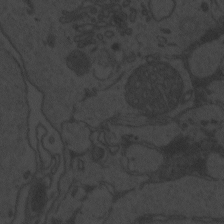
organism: Zebrafish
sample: Macrophage infected with Toxoplasma gondii